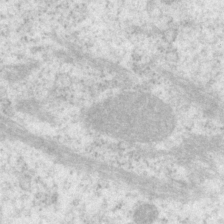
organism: P. pacificus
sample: Pharynx